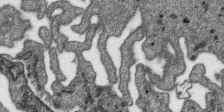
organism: Human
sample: Lung epithelial cells infected with SARS-CoV-2